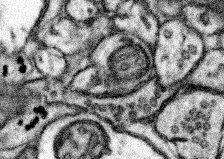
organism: Mouse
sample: Somatosensory cortex neuropil